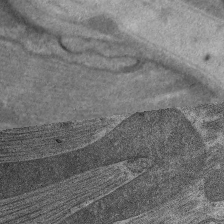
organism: C. elegans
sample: Pharynx